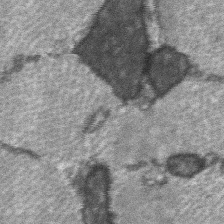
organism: C57BL Mouse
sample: Soleus